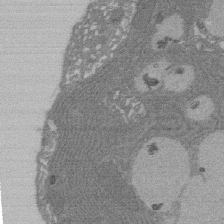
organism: Rat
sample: Salivary granule